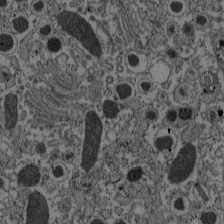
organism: C57BL Mouse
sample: Pancreatic islet